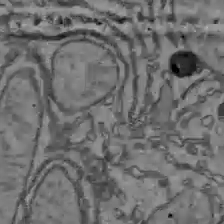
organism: C57BL Mouse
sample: Liver